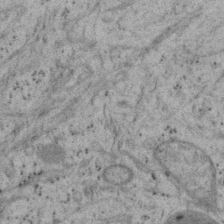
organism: Human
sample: HeLa cells